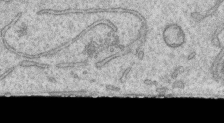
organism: Human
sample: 1205lu cells